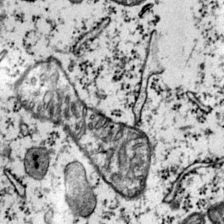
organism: Mouse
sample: Primary visual cortex